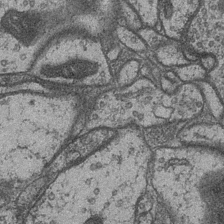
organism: Drosophila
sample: Optic medulla